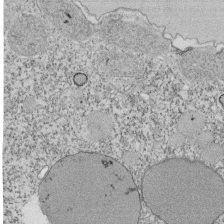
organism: Tetrahymena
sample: Cilia in tetrahymena